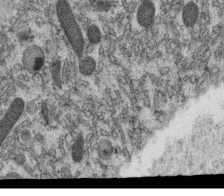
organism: C. elegans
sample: C. elegans oocyte; sperm cells